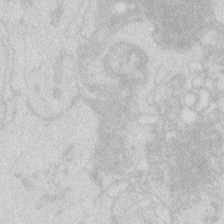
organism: Zebrafish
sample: Macrophage